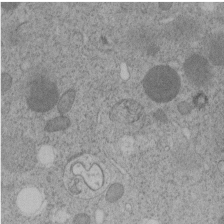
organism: C. elegans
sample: C. elegans embryo early stage